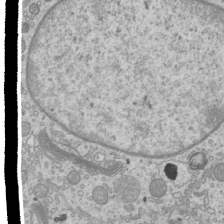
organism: Mouse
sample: Cilia; mouse epididymis